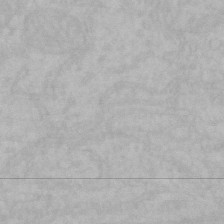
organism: Mouse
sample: Choroid plexus